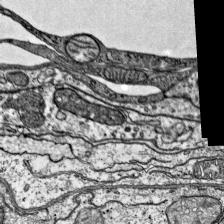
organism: Mouse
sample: Visual Cortex